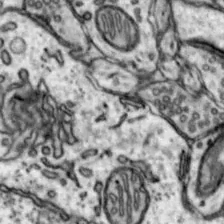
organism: Mouse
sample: Nucleus accumbens